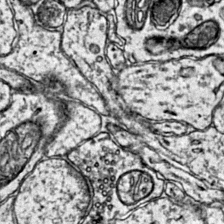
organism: Mouse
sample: Primary visual cortex